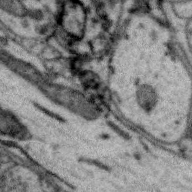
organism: Zebra finch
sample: Brain